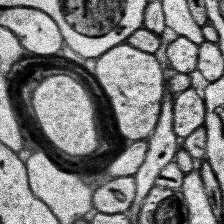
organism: Human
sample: Temporal Lobe